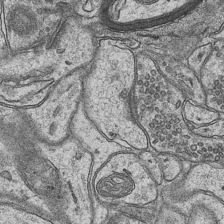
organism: Mouse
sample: CA1 Hippocampus